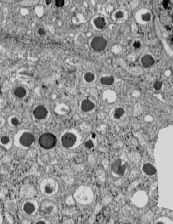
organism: C57BL Mouse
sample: Pancreatic islet